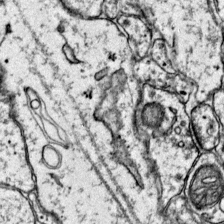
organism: Mouse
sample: Primary visual cortex